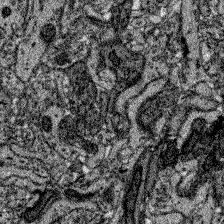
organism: Zebrafish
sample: Larval olfactory bulb